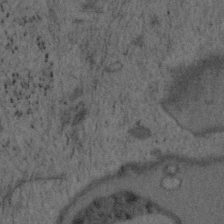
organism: Human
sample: HeLa cells